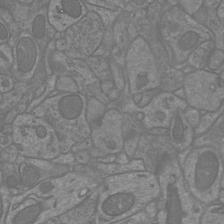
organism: Mouse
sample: Cortical neurons